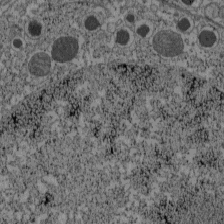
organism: C57BL Mouse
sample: Pancreatic islet